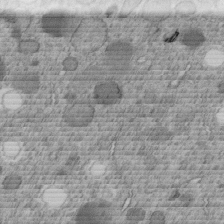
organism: C. elegans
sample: C. elegans embryo early stage